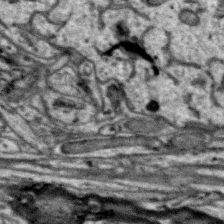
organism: Zebra finch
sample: Brain